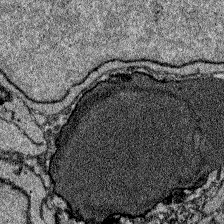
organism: Zebrafish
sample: Larval olfactory bulb